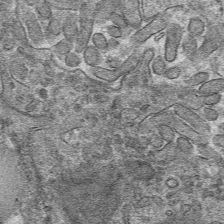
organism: Mouse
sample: Mouse hepatocytes